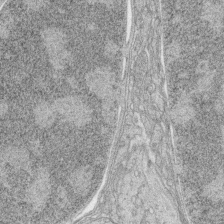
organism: Zebrafish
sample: synaptic ribbons in rod cells and cone cells